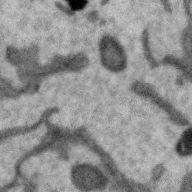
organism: Zebra finch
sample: Brain